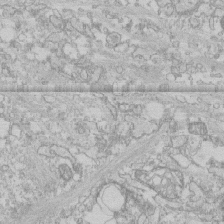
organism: Human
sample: CRL-1474